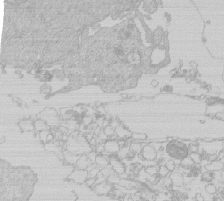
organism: Human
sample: Macrophage cells